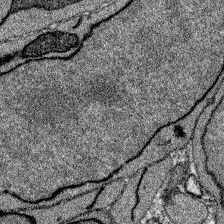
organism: Zebrafish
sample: Larval olfactory bulb